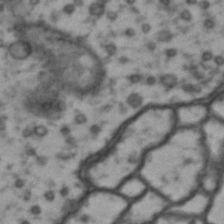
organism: Drosophila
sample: Brain